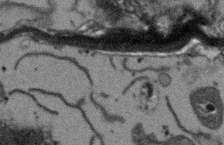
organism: Arabidopsis thaliana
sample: Root tip